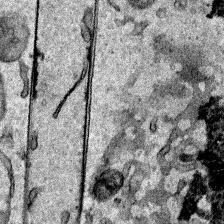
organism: Human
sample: Mitochondria in HCT116 cells